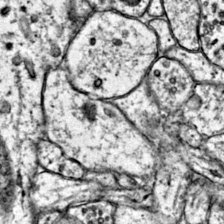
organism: Mouse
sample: Primary visual cortex